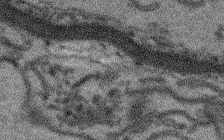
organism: Arabidopsis thaliana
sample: Root tip